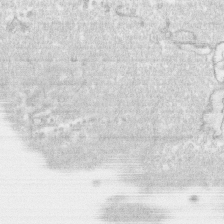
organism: Human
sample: CRL-1474